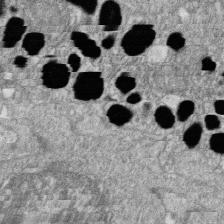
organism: Zebrafish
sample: Cilia; retinal pigment epithelium